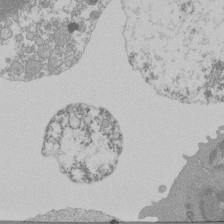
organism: Mouse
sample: Activated Pmel transgenic CD8+ T Cells